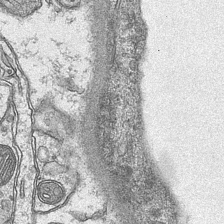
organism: Mouse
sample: CA1 Hippocampus